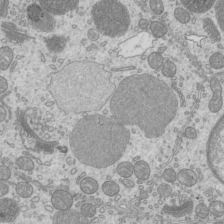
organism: Mouse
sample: Cilia; mouse epididymis